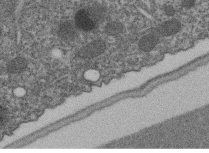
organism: C. elegans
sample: C. elegans embryo early stage